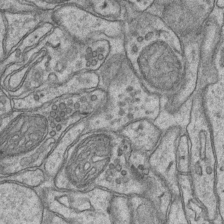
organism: Mouse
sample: CA1 Hippocampus